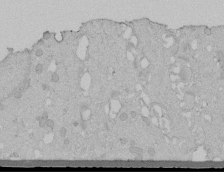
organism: Human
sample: Melanocyte Keratinocyte synapse skin construct